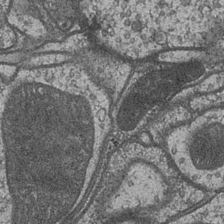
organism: Drosophila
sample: Optic medulla